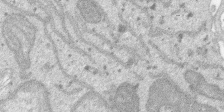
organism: Human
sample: Lung epithelial cells infected with SARS-CoV-2